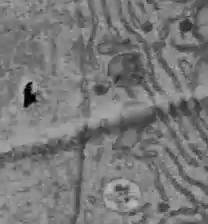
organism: C57BL Mouse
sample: Liver